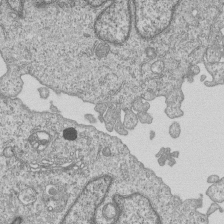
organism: Human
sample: MDA-MB-231 cells